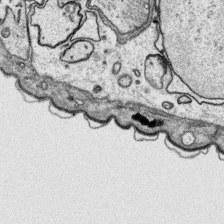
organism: Platynereis dumerilii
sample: Parapodia